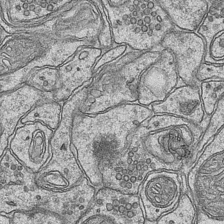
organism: Mouse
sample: CA1 Hippocampus